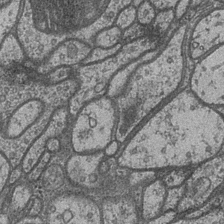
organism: Drosophila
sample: Optic medulla